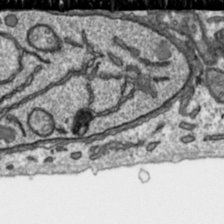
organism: Toxoplasma gondii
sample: Parasites in a vacuole inside a host cell